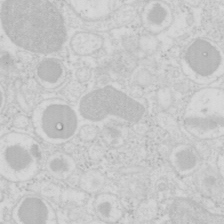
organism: Mouse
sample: Pancreas